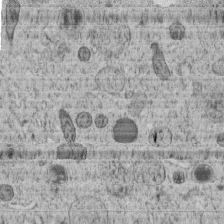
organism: C. elegans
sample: C. elegans embryo early stage